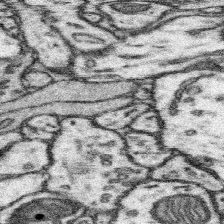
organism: Mouse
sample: Somatosensory cortex neuropil